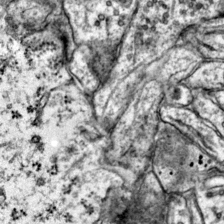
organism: Mouse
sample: Primary visual cortex